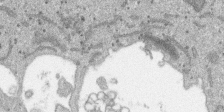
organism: Human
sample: Lung epithelial cells infected with SARS-CoV-2